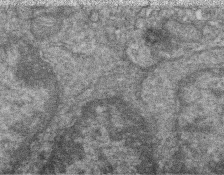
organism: Zebrafish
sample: Cilia; retinal pigment epithelium